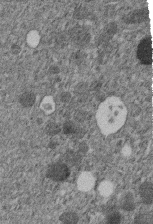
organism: C. elegans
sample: C. elegans embryo early stage